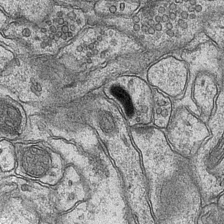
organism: Mouse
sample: CA1 Hippocampus